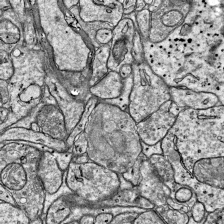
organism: Mouse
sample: Visual Cortex